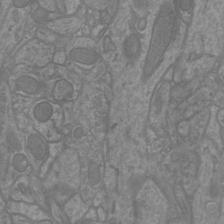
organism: Mouse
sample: Cortical neurons